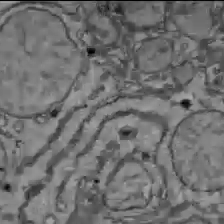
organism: C57BL Mouse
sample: Liver